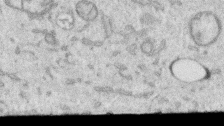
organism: Human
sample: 1205lu cells